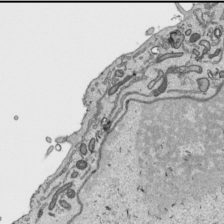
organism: Human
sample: Mitochondria in HCT116 cells